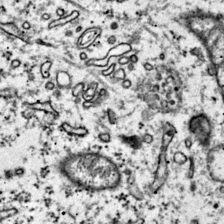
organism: Mouse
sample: Primary visual cortex